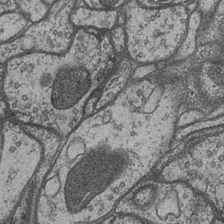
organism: Drosophila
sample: Optic medulla